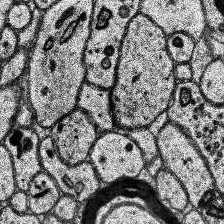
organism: Human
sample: Temporal Lobe